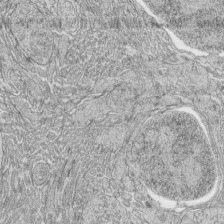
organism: Zebrafish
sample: synaptic ribbons in rod cells and cone cells